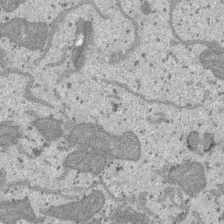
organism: Human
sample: Lung epithelial cells infected with SARS-CoV-2